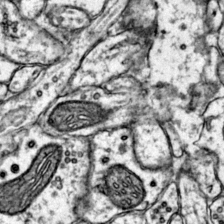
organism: Mouse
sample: Primary visual cortex